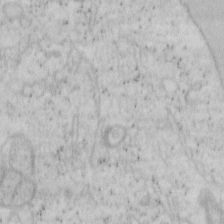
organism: Human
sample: HeLa cells